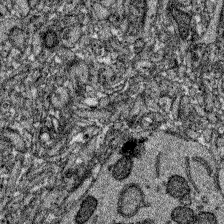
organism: Zebrafish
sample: Larval olfactory bulb